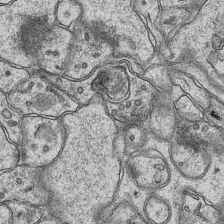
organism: Mouse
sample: CA1 Hippocampus